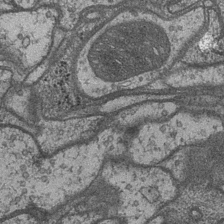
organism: Drosophila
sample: Optic medulla